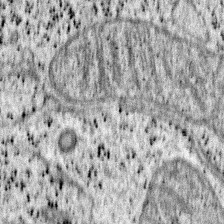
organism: Human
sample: HeLa cells